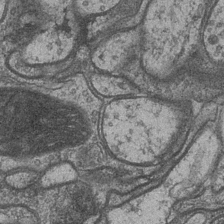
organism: Drosophila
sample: Optic medulla